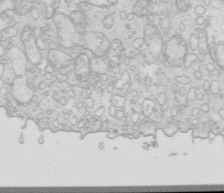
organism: Mouse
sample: Multiciliated cells